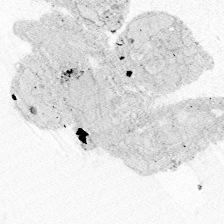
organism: Zebrafish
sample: Whole-Brain